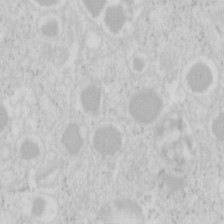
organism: Mouse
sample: Pancreas